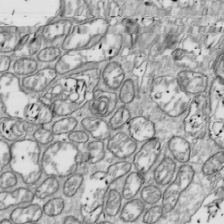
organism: Drosophila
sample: Cell division; meiosis; drosophila spermatocytes